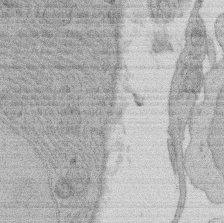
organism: Rat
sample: Salivary granule